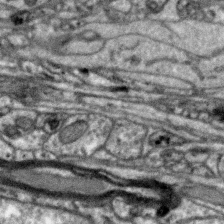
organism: Zebra finch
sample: Brain